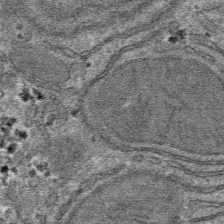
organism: Mouse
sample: Mouse hepatocytes